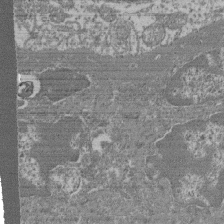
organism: Mouse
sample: Glomerulus